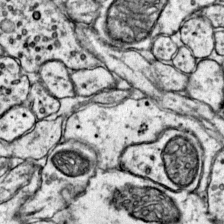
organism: Mouse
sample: Primary visual cortex